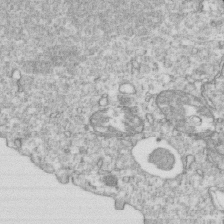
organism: Mouse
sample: Activated OT-1 CD8+ T cells